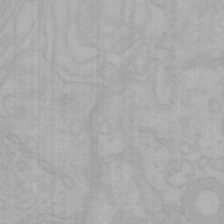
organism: Mouse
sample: Choroid plexus